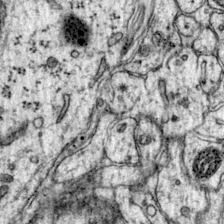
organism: Mouse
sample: Primary visual cortex